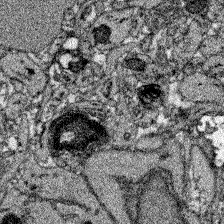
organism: Zebrafish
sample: Larval olfactory bulb